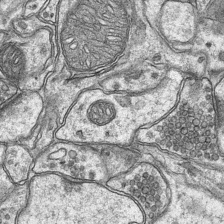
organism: Mouse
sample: CA1 Hippocampus